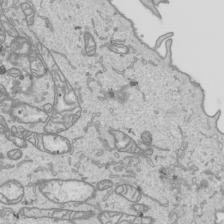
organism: Human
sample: Mitochondria in HCT116 cells